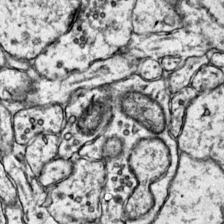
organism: Mouse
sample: Primary visual cortex